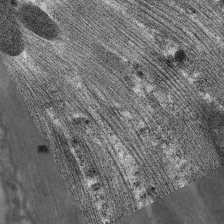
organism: C. elegans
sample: Pharynx